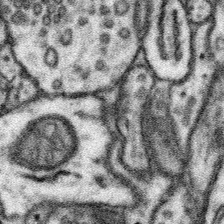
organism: Mouse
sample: Somatosensory cortex neuropil